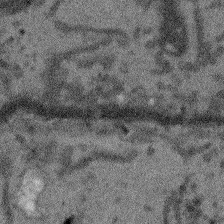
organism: Arabidopsis thaliana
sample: Root tip